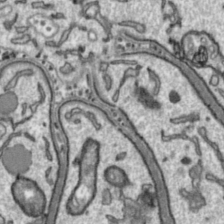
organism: Toxoplasma gondii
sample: Parasites in a vacuole inside a host cell